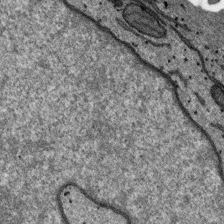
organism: Human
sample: Lung epithelial cells, uninfected (mock) control